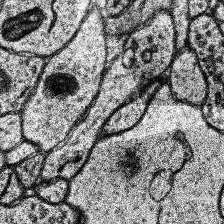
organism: Human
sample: Temporal Lobe